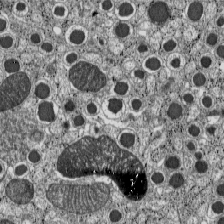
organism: C57BL Mouse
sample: Pancreatic islet